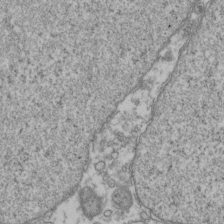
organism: Human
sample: Activated Jurkat CD4+ T cells